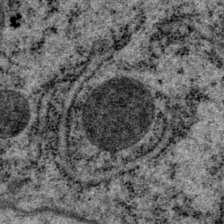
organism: P. pacificus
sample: Pharynx